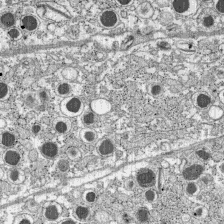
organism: C57BL Mouse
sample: Pancreatic islet